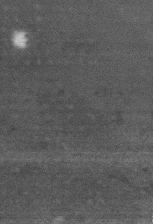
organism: Mouse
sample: Centriole in ependymal cells